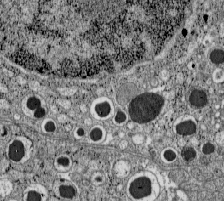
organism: C57BL Mouse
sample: Pancreatic islet